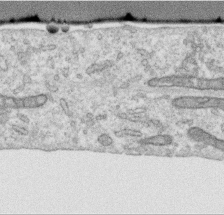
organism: Human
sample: Centriole in RPE cells